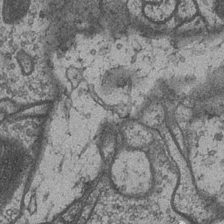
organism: Drosophila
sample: Optic medulla